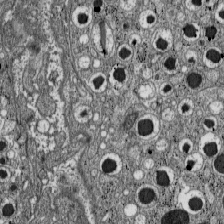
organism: C57BL Mouse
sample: Pancreatic islet